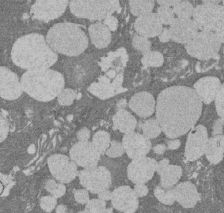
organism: Rat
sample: Salivary granule